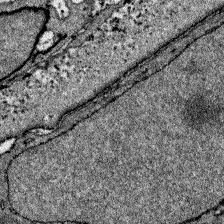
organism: Zebrafish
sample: Larval olfactory bulb